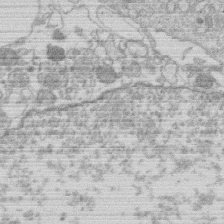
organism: Human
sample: Macrophage cells